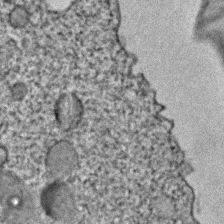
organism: C. elegans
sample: C. elegans embryo